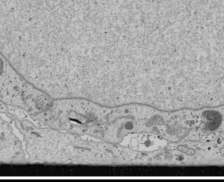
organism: Human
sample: Mitochondria in U2OS cells